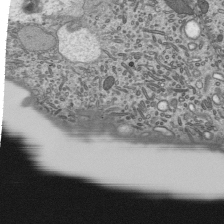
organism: Mouse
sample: Mouse epididymis efferent ductule cilia